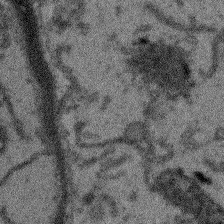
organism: Arabidopsis thaliana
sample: Root tip